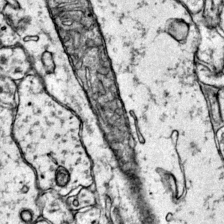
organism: Mouse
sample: Primary visual cortex